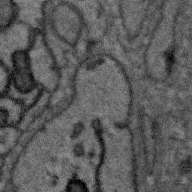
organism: Zebra finch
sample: Brain